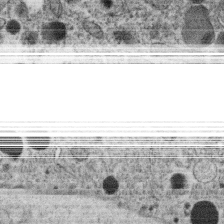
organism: C. elegans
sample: C. elegans oocyte; sperm cells